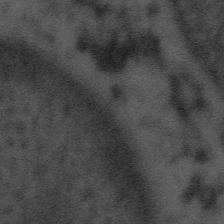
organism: Tuwongella immobilis